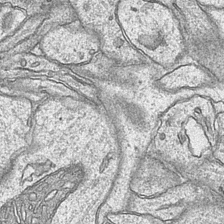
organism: Mouse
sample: CA1 Hippocampus